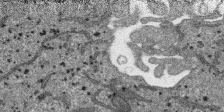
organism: Human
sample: Lung epithelial cells infected with SARS-CoV-2